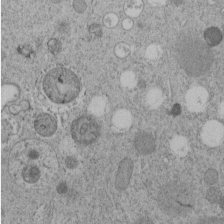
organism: C. elegans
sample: C. elegans embryo early stage